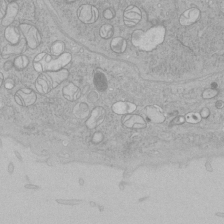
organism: Human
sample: Mitochondria in HCT116 cells